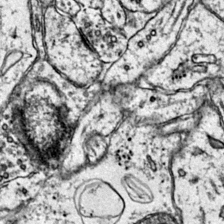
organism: Mouse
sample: Primary visual cortex